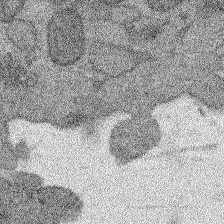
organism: Human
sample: HeLa cells